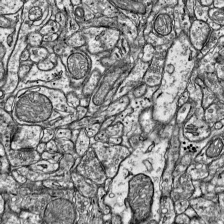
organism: Mouse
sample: Visual Cortex